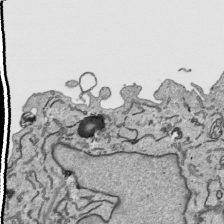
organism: Human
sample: Mitochondria in HCT116 cells